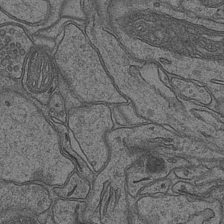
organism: Mouse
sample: CA1 Hippocampus